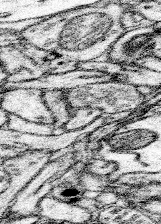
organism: Mouse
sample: Somatosensory cortex neuropil